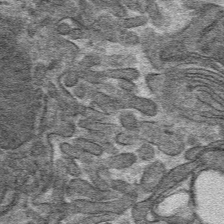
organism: Mouse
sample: Mouse hepatocytes